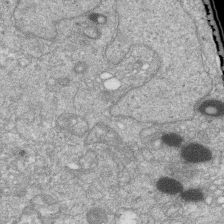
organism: Human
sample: HeLa cell HIV synapse